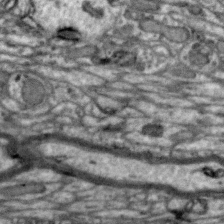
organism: Zebra finch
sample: Brain